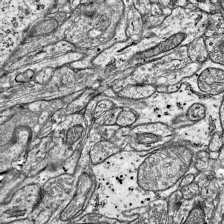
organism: Mouse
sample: Visual Cortex